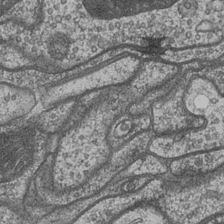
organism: Drosophila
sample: Optic medulla